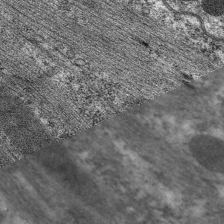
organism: C. elegans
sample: Pharynx